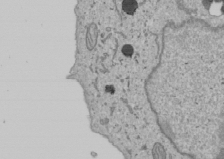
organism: Human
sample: Mitochondria in U2OS cells